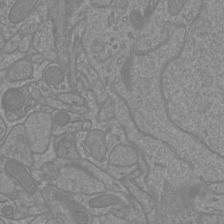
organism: Mouse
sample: Cortical neurons